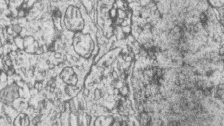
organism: Zebrafish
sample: synaptic ribbons in rod cells and cone cells